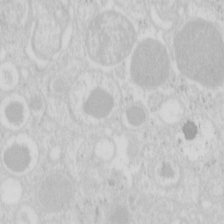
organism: Mouse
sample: Pancreas